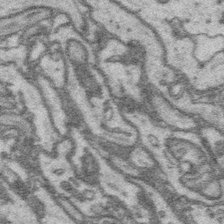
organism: Platynereis dumerilii